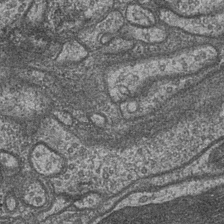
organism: Drosophila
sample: Optic medulla